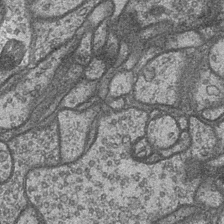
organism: Drosophila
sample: Optic medulla